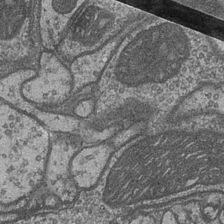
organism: Drosophila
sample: Optic medulla